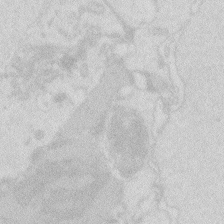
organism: Zebrafish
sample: Macrophage